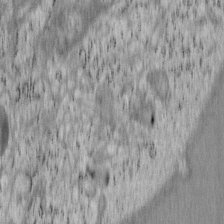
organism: Human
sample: HeLa cells